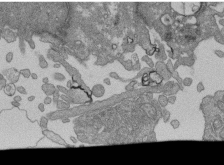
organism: Human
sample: Retinal organoid Rod and Cone cells